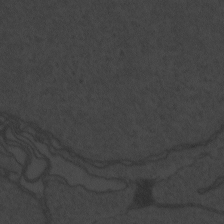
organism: Zebrafish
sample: Macrophage infected with Toxoplasma gondii